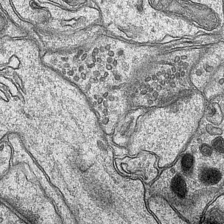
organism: Mouse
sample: CA1 Hippocampus